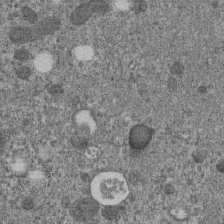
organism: C. elegans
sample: C. elegans embryo early stage